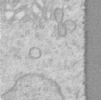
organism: Human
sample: Centriole in RPE cells